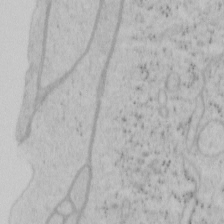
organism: Human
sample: HeLa cells